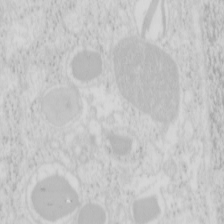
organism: Mouse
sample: Pancreas